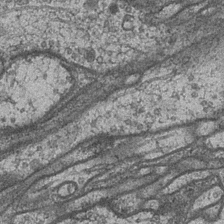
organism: Drosophila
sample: Optic medulla